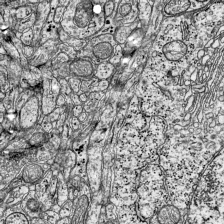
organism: Mouse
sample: Visual Cortex